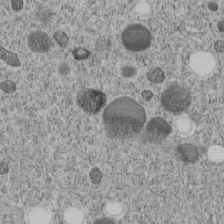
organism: C. elegans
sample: C. elegans embryo early stage